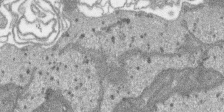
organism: Human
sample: Lung epithelial cells infected with SARS-CoV-2